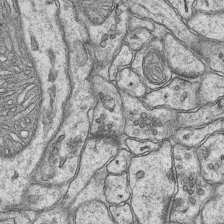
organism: Mouse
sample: CA1 Hippocampus